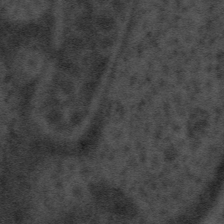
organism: Tuwongella immobilis